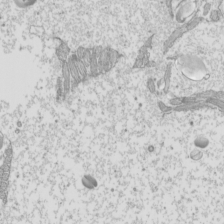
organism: Mouse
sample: Cilia; mouse epididymis